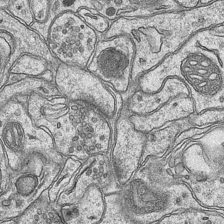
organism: Mouse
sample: CA1 Hippocampus